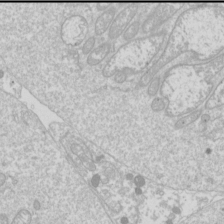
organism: Drosophila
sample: Cell division; meiosis; drosophila spermatocytes